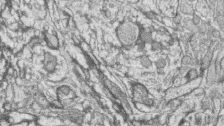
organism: Zebrafish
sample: synaptic ribbons in rod cells and cone cells